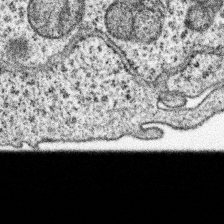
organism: Human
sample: HeLa cells